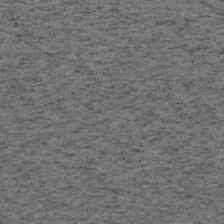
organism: Mouse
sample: OT-I killer T cells with ID8 ovarian cancer cells